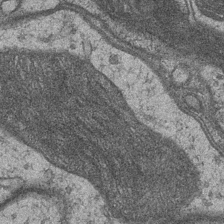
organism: Drosophila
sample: Optic medulla